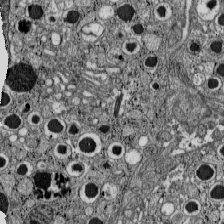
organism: C57BL Mouse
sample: Pancreatic islet